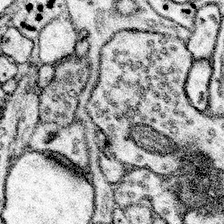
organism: Mouse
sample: Somatosensory cortex neuropil